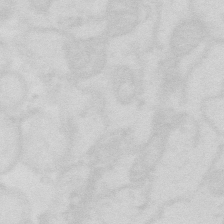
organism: Human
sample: HeLa cells